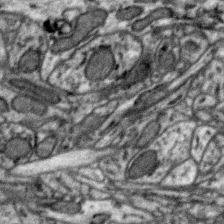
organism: Zebra finch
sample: Brain